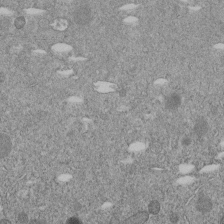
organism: C. elegans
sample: C. elegans embryo early stage